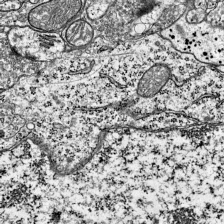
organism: Mouse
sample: Visual Cortex